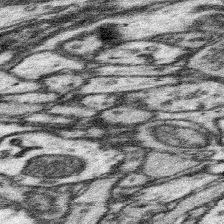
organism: Mouse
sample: Somatosensory cortex neuropil